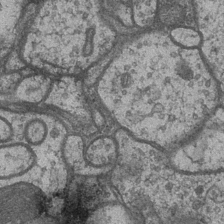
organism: Drosophila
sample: Optic medulla